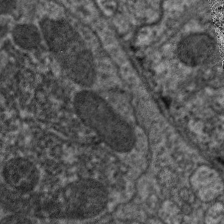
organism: C. elegans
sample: Pharynx